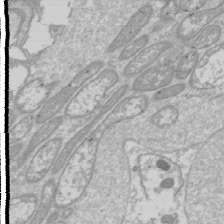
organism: Drosophila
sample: Cell division; meiosis; drosophila spermatocytes